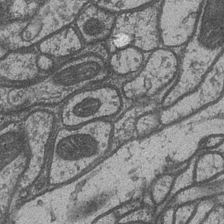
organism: Drosophila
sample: Optic medulla